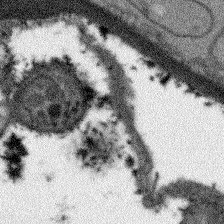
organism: Arabidopsis thaliana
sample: Root tip